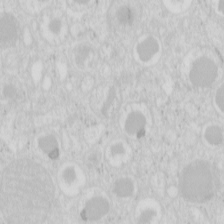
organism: Mouse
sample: Pancreas